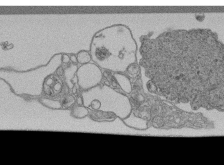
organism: Human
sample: Retinal organoid Rod and Cone cells